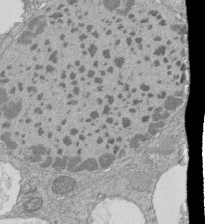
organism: Tetrahymena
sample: Cilia in tetrahymena